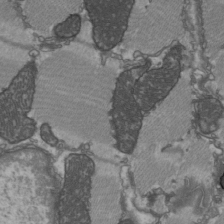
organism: C57BL Mouse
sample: Heart